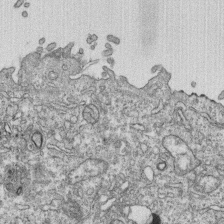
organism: Human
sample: HeLa cell HIV synapse